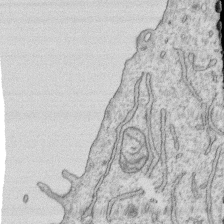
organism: Human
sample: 1205lu cells